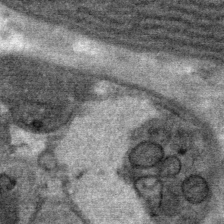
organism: Mouse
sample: Mouse Salivary gland